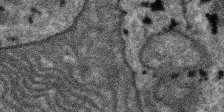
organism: Human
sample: Lung epithelial cells infected with SARS-CoV-2